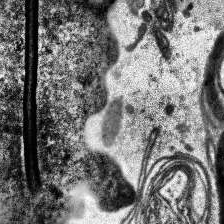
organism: Human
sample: Temporal Lobe